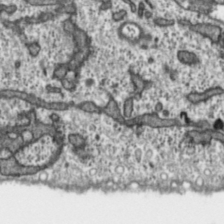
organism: Toxoplasma gondii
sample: Parasites in a vacuole inside a host cell